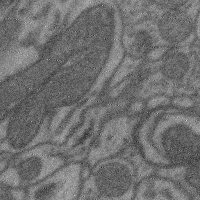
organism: Mouse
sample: Cerebral cortex